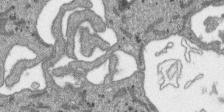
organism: Human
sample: Lung epithelial cells infected with SARS-CoV-2